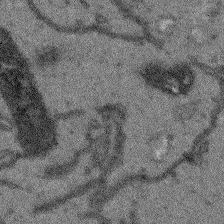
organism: Arabidopsis thaliana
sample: Root tip